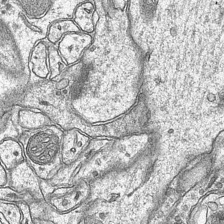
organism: Mouse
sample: CA1 Hippocampus